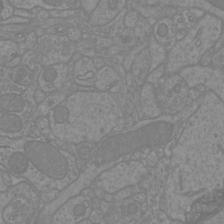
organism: Mouse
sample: Cortical neurons